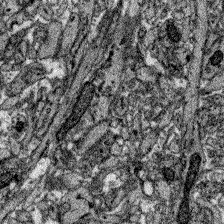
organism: Zebrafish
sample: Larval olfactory bulb